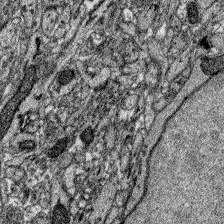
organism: Zebrafish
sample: Larval olfactory bulb